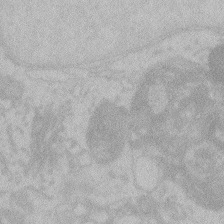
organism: Zebrafish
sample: Macrophage infected with Toxoplasma gondii